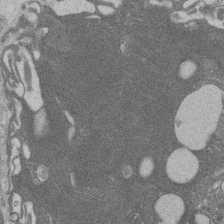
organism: Rat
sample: Salivary granule